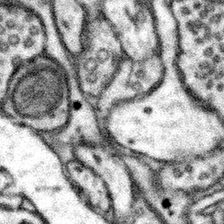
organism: Mouse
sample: Somatosensory cortex neuropil